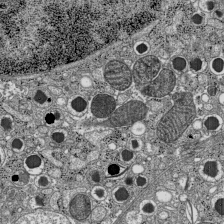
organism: C57BL Mouse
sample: Pancreatic islet